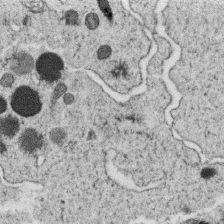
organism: C. elegans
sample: C. elegans oocyte; sperm cells